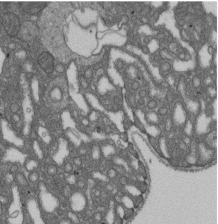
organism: Drosophila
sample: Nephrocyte